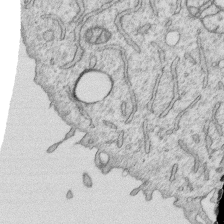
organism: Human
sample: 1205lu cells